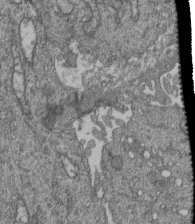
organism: Human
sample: Retinal organoid Rod and Cone cells